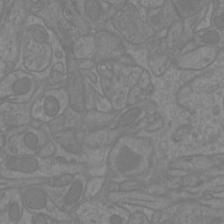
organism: Mouse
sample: Cortical neurons